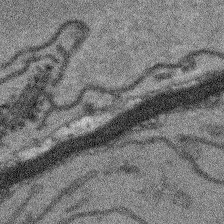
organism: Arabidopsis thaliana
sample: Root tip